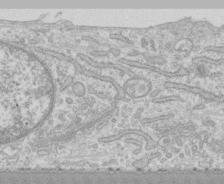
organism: Human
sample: CRL-1474